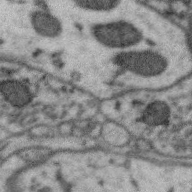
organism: Zebra finch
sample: Brain